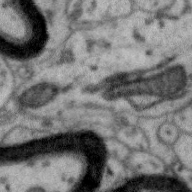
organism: Zebra finch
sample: Brain